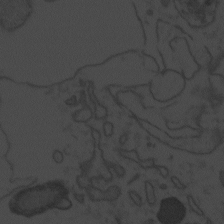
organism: Zebrafish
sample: Macrophage infected with Toxoplasma gondii